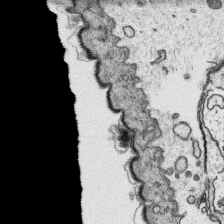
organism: Platynereis dumerilii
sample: Parapodia